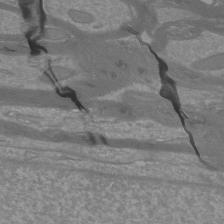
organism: Mouse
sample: Cortical neurons